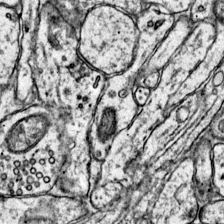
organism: Mouse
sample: Primary visual cortex